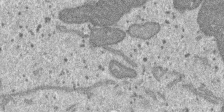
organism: Human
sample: Lung epithelial cells infected with SARS-CoV-2